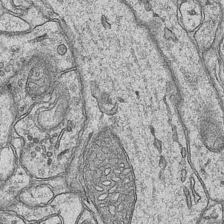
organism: Mouse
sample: CA1 Hippocampus